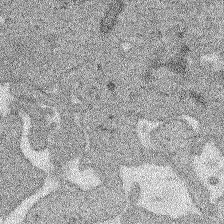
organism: Human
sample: HeLa cells